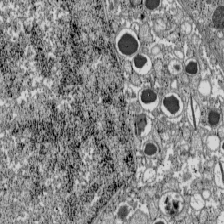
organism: C57BL Mouse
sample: Pancreatic islet